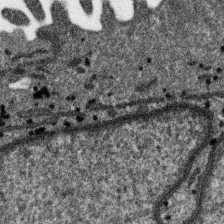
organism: Human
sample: Lung epithelial cells infected with SARS-CoV-2